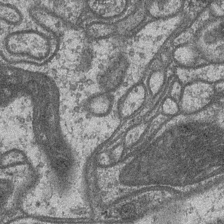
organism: Drosophila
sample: Optic medulla